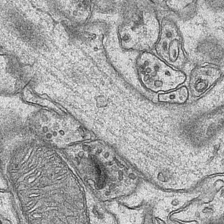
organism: Mouse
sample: CA1 Hippocampus